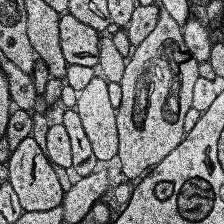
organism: Human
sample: Temporal Lobe